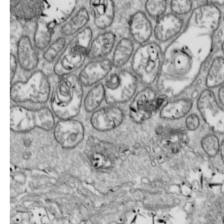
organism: Drosophila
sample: Cell division; meiosis; drosophila spermatocytes